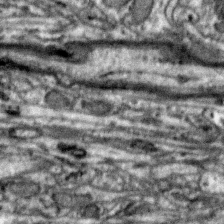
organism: Zebra finch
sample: Brain